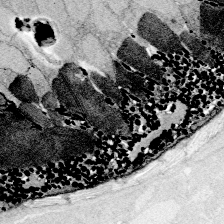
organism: Zebrafish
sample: Whole-Brain